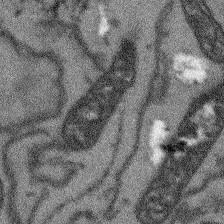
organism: Arabidopsis thaliana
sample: Root tip